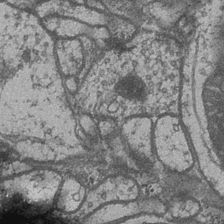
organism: Drosophila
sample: Optic medulla